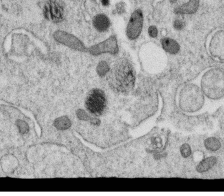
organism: C. elegans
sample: C. elegans oocyte; sperm cells